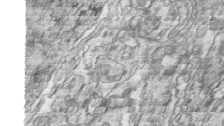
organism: Zebrafish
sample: synaptic ribbons in rod cells and cone cells